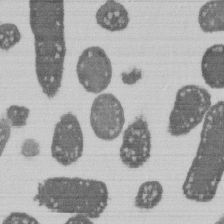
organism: E. coli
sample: Bacterial nucleoid